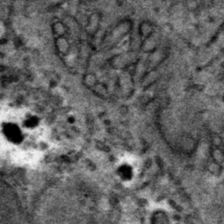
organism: Mouse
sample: Mouse hepatocytes